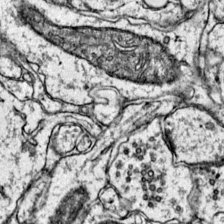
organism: Mouse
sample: Primary visual cortex